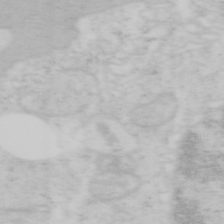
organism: Mouse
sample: OT-I killer T cells with ID8 ovarian cancer cells